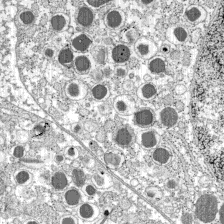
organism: C57BL Mouse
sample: Pancreatic islet